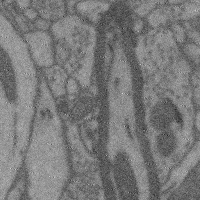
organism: Mouse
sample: Cerebral cortex